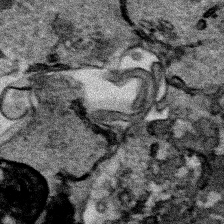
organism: Human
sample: Mitochondria in HCT116 cells